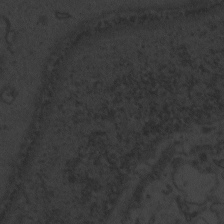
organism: Zebrafish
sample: Macrophage infected with Toxoplasma gondii